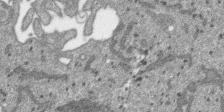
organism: Human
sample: Lung epithelial cells infected with SARS-CoV-2